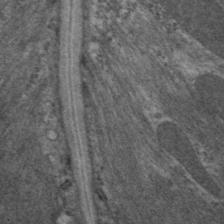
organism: C. elegans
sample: Pharynx